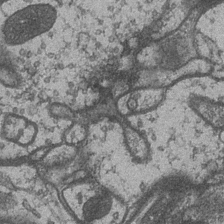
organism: Drosophila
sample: Optic medulla